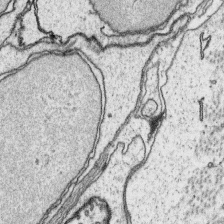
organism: Platynereis dumerilii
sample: Parapodia